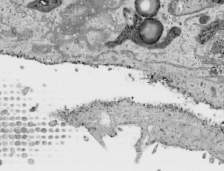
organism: Human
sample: Mitochondria in HCT116 cells